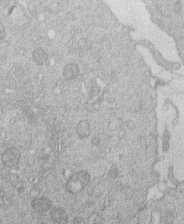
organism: Human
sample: Macrophage cells